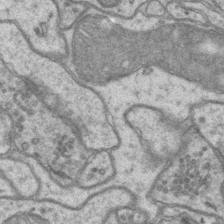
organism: Mouse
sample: CA1 Hippocampus